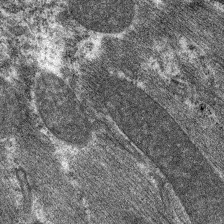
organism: C. elegans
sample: Pharynx